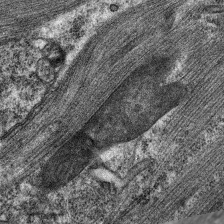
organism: C. elegans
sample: Pharynx